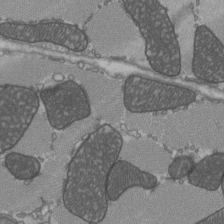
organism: C57BL Mouse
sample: Heart